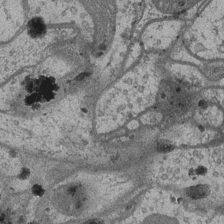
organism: Drosophila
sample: Optic medulla